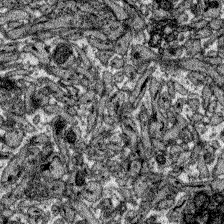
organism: Zebrafish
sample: Larval olfactory bulb